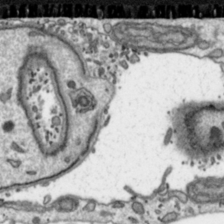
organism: Toxoplasma gondii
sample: Parasites in a vacuole inside a host cell